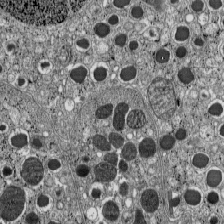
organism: C57BL Mouse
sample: Pancreatic islet